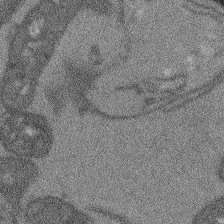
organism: Arabidopsis thaliana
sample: Root tip